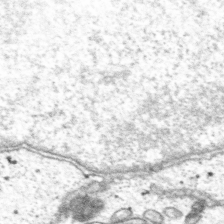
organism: Human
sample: HeLa cells